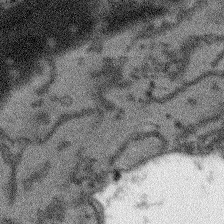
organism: Arabidopsis thaliana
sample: Root tip